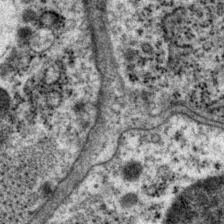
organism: P. pacificus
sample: Pharynx